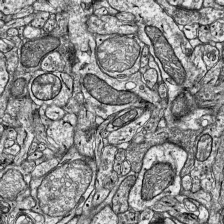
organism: Mouse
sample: Visual Cortex